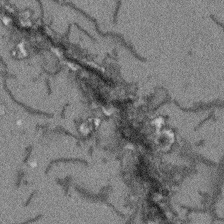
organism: Arabidopsis thaliana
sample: Root tip